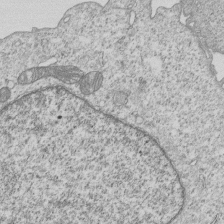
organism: Human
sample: MDA-MB-231 cells